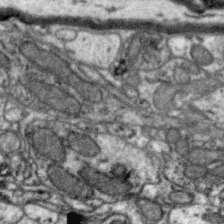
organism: Zebra finch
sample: Brain